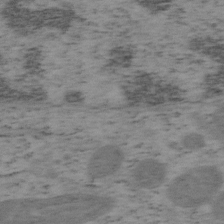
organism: Mouse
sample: OT-I killer T cells with ID8 ovarian cancer cells